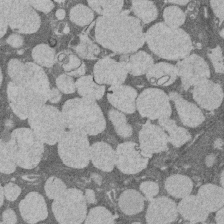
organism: Rat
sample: Salivary granule